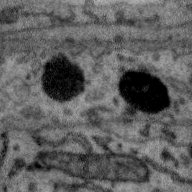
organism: Zebra finch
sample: Brain